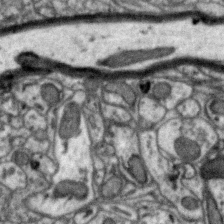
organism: Zebra finch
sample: Brain